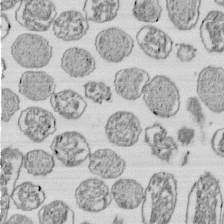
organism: E. coli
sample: Bacterial nucleoid